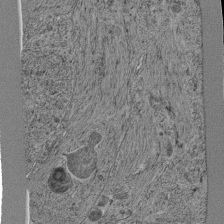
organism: C. elegans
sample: C. elegans pharynx